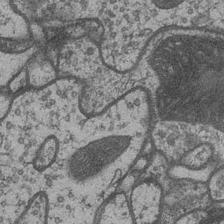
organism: Drosophila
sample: Optic medulla